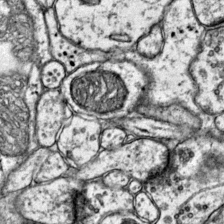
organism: Mouse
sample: Primary visual cortex